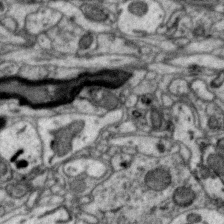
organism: Zebra finch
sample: Brain